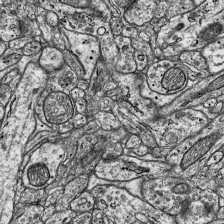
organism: Mouse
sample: Visual Cortex